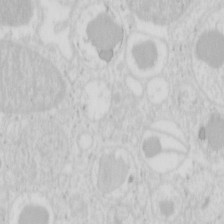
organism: Mouse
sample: Pancreas